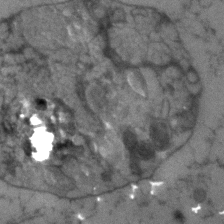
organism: Human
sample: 1205lu cells